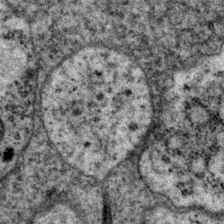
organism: P. pacificus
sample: Pharynx